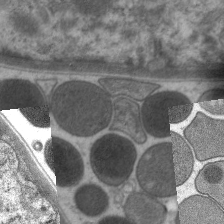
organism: C. elegans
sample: Pharynx